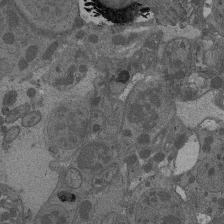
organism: Drosophila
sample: Antenna